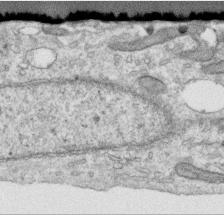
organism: Human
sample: Centriole in RPE cells